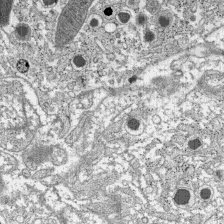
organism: C57BL Mouse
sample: Pancreatic islet